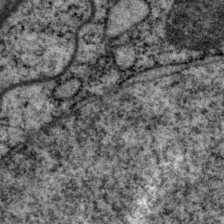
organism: P. pacificus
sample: Pharynx